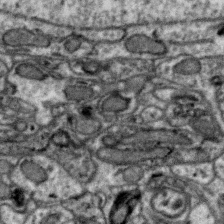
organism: Zebra finch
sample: Brain